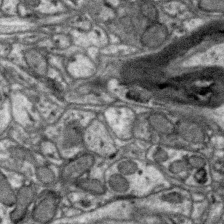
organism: Zebra finch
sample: Brain